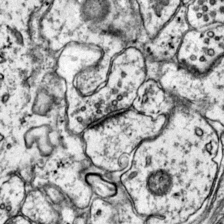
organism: Mouse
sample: Primary visual cortex